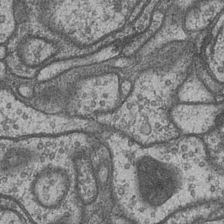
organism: Drosophila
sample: Optic medulla